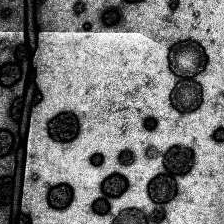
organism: Human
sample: Temporal Lobe